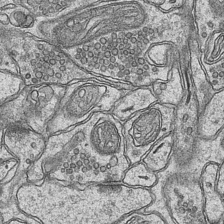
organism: Mouse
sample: CA1 Hippocampus